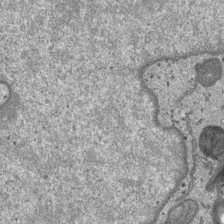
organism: Human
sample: Lung epithelial cells infected with SARS-CoV-2